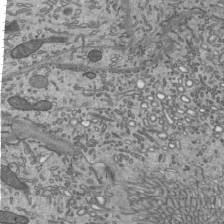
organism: Mouse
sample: Mouse epididymis efferent ductule cilia